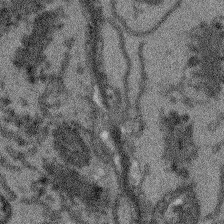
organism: Arabidopsis thaliana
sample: Root tip